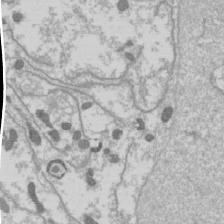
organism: Drosophila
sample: Cell division; meiosis; drosophila spermatocytes